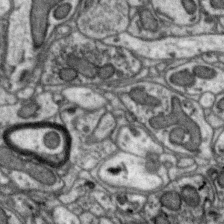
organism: Zebra finch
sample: Brain